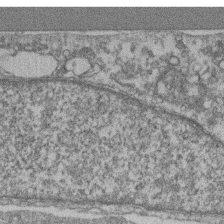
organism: Mouse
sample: T cell stromal cell synapse